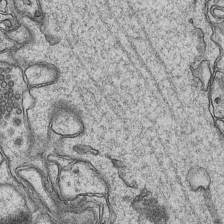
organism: Mouse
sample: CA1 Hippocampus